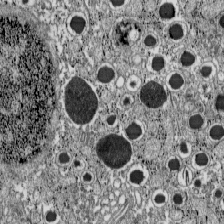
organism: C57BL Mouse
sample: Pancreatic islet